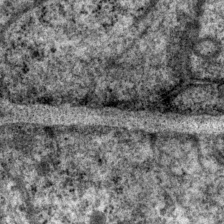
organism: P. pacificus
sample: Pharynx